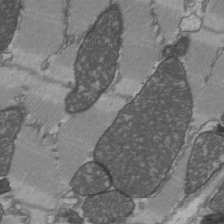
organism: C57BL Mouse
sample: Heart